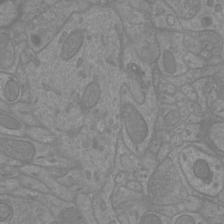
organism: Mouse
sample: Cortical neurons